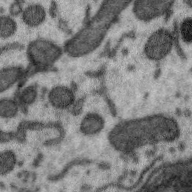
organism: Zebra finch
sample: Brain